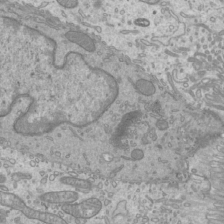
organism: Mouse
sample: Cilia; mouse epididymis